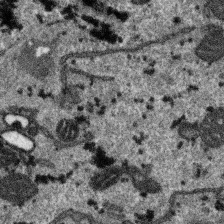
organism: Human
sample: Lung epithelial cells infected with SARS-CoV-2